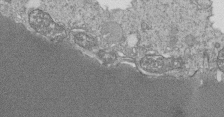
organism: Tetrahymena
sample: Cilia in tetrahymena